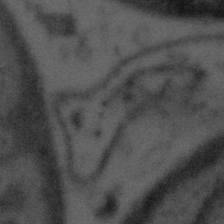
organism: Tuwongella immobilis